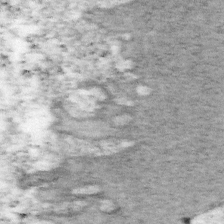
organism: Mouse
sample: OT-I killer T cells with ID8 ovarian cancer cells